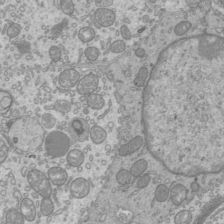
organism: Mouse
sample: Cilia; mouse epididymis